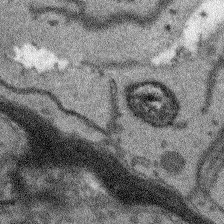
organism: Arabidopsis thaliana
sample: Root tip